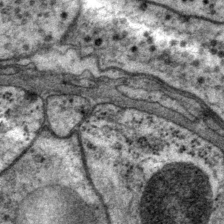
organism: P. pacificus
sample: Pharynx